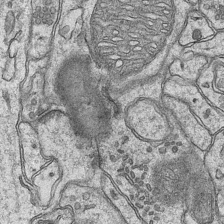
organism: Mouse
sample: CA1 Hippocampus